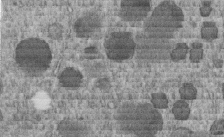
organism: C. elegans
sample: C. elegans embryo early stage